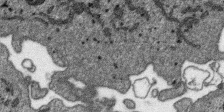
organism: Human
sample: Lung epithelial cells infected with SARS-CoV-2